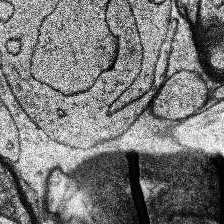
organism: Human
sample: Temporal Lobe